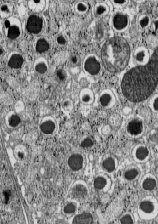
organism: C57BL Mouse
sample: Pancreatic islet